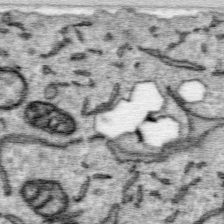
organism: Human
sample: HeLa cells